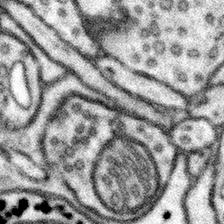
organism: Mouse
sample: Somatosensory cortex neuropil